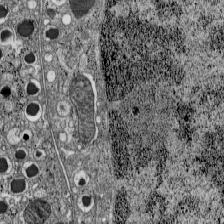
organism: C57BL Mouse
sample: Pancreatic islet